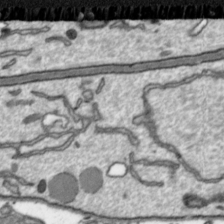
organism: Toxoplasma gondii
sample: Parasites in a vacuole inside a host cell